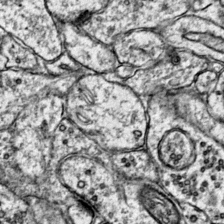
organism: Mouse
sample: Primary visual cortex